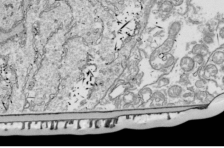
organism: Drosophila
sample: Cell division; meiosis; drosophila spermatocytes